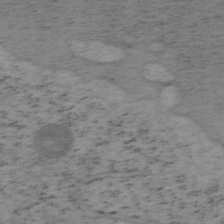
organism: Mouse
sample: OT-I killer T cells with ID8 ovarian cancer cells